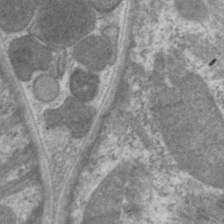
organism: C. elegans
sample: Pharynx